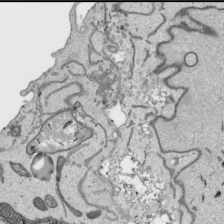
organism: Human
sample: Mitochondria in HCT116 cells